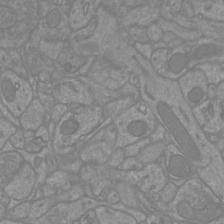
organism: Mouse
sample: Cortical neurons